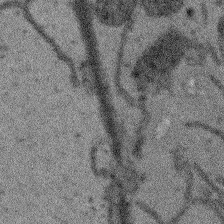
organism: Arabidopsis thaliana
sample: Root tip